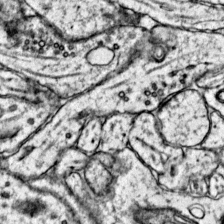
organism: Mouse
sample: Primary visual cortex